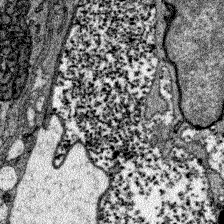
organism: Zebrafish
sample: Larval olfactory bulb